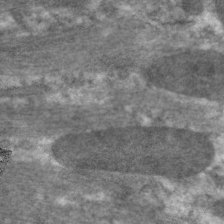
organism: C. elegans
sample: Pharynx